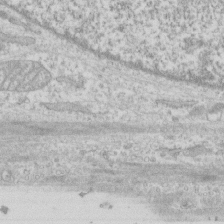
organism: Human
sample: CRL-1474